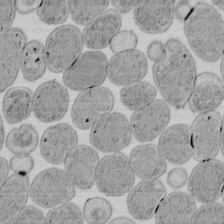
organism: E. coli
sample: Bacterial nucleoid